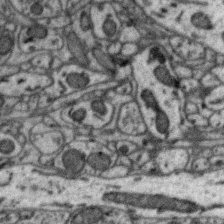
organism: Zebra finch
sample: Brain